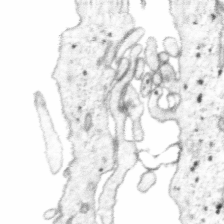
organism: Human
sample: HeLa cells